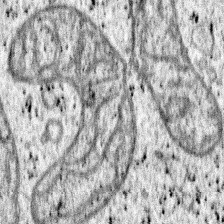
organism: Human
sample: HeLa cells